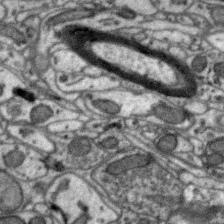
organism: Zebra finch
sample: Brain